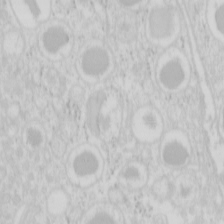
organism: Mouse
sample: Pancreas